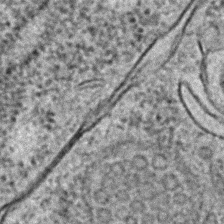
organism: C. elegans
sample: C. elegans embryo